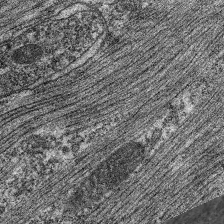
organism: C. elegans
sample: Pharynx